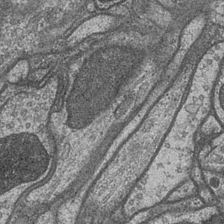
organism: Drosophila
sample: Optic medulla